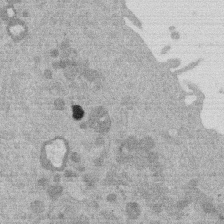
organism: Mouse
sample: Dividing mouse embryo 1 cell stage